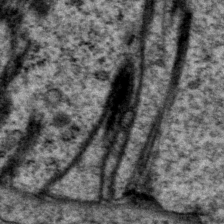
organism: P. pacificus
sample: Pharynx